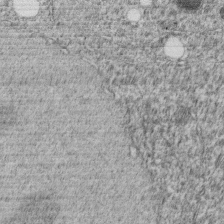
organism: C. elegans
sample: C. elegans embryo early stage